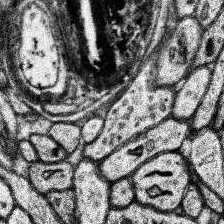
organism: Human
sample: Temporal Lobe